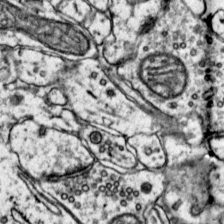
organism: Mouse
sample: Primary visual cortex